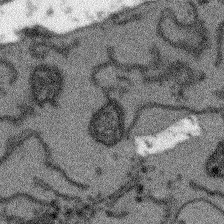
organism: Arabidopsis thaliana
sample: Root tip